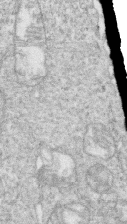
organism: Human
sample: HeLa cell HIV synapse